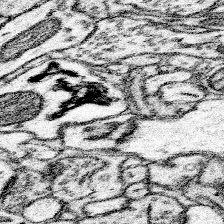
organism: Mouse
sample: Somatosensory cortex neuropil